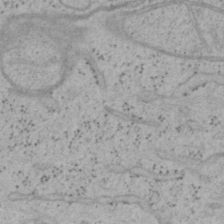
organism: Human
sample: HeLa cells